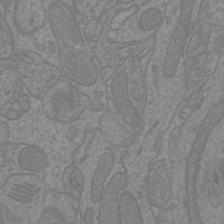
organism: Mouse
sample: Cortical neurons